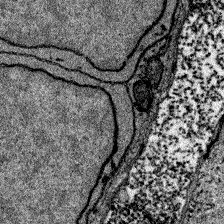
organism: Zebrafish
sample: Larval olfactory bulb